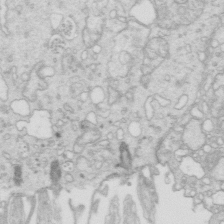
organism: Mouse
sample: Multiciliated cells